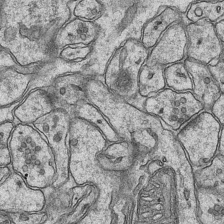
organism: Mouse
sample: CA1 Hippocampus